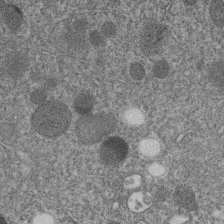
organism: C. elegans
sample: C. elegans embryo early stage